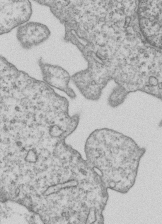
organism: Human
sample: MDA-MB-231 cells